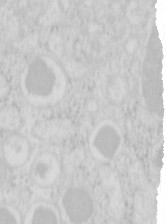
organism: Mouse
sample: Pancreas